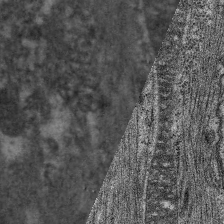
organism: C. elegans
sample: Pharynx